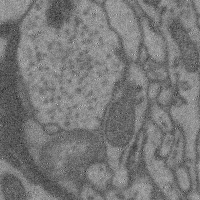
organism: Mouse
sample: Cerebral cortex